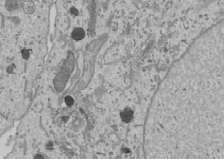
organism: Human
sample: Mitochondria in U2OS cells